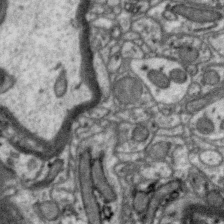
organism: Zebra finch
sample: Brain